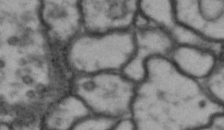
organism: Drosophila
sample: Brain